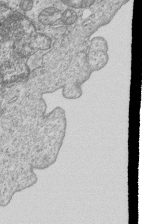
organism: Human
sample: MDA-MB-231 cells